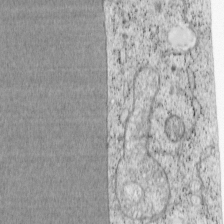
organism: African green monkey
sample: COS-7 cells